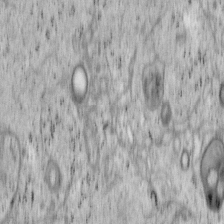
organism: Human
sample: HeLa cells